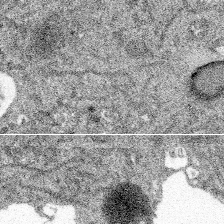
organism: Spongilla lacustris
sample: Multiple